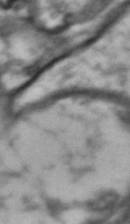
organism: Drosophila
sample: Brain